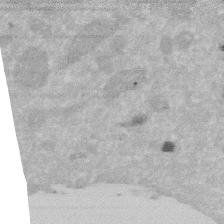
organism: Human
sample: HIV infected U937 cells